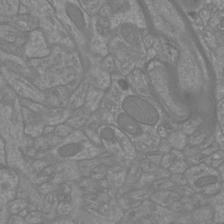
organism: Mouse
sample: Cortical neurons